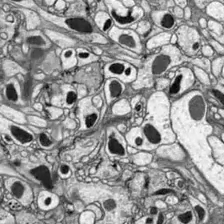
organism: Drosophila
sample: Optic lobe